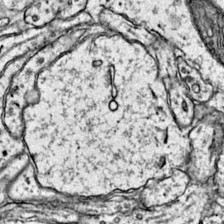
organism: Mouse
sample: Primary visual cortex